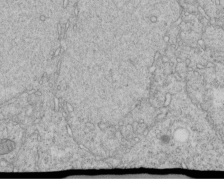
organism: C. elegans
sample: C. elegans embryo early stage